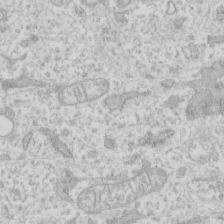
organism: Human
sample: Fibroblast cells